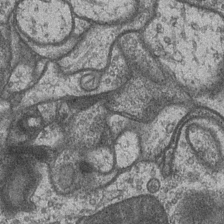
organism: Drosophila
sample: Optic medulla